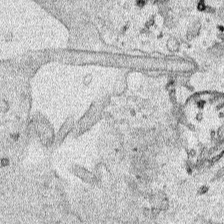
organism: Human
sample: Mitochondria in HCT116 cells